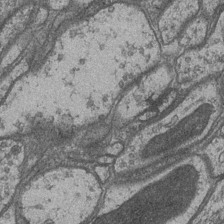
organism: Drosophila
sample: Optic medulla